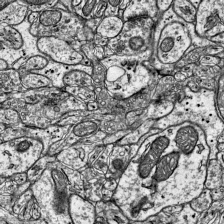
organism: Mouse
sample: Visual Cortex